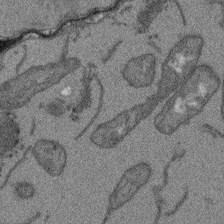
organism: Arabidopsis thaliana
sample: Root tip